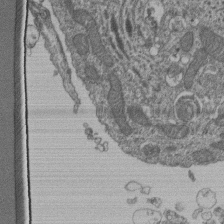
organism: Human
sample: Retinal organoid Rod and Cone cells